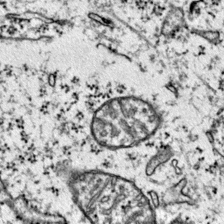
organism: Mouse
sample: Primary visual cortex